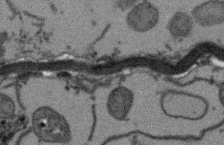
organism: Arabidopsis thaliana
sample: Root tip